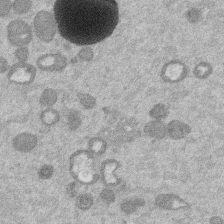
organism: Mouse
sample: Dividing mouse embryo 1 cell stage